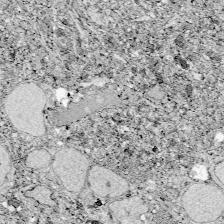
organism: Zebrafish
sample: Whole-Brain